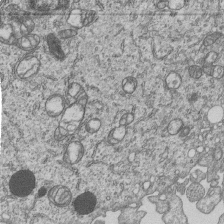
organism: Human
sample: MDA-MB-231 cells